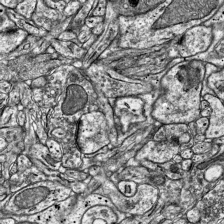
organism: Mouse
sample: Visual Cortex